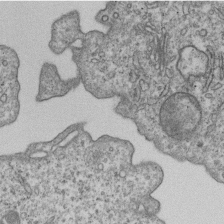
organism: Human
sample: MDA-MB-231 cells